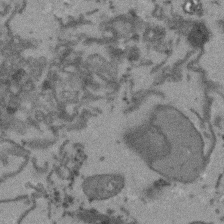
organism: Arabidopsis thaliana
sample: Root tip